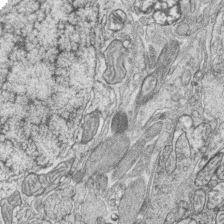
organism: Zebrafish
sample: synaptic ribbons in rod cells and cone cells